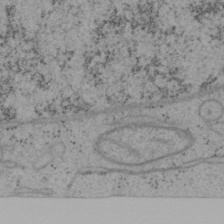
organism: Human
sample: HeLa cells